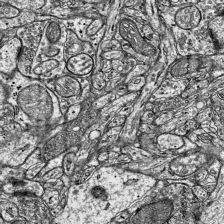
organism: Mouse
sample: Visual Cortex